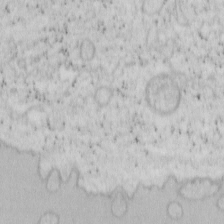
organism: Human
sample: HeLa cells